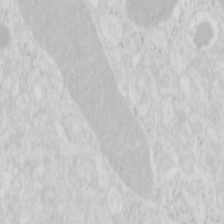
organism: Mouse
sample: Pancreas